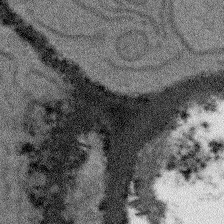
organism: Arabidopsis thaliana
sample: Root tip